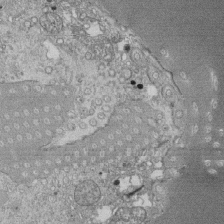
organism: Tetrahymena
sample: Cilia in tetrahymena